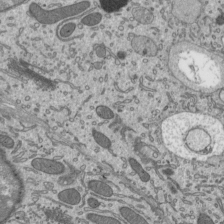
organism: Mouse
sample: Mouse epididymis efferent ductule cilia